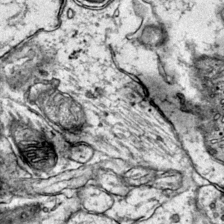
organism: Mouse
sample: Primary visual cortex